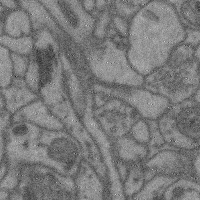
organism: Mouse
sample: Cerebral cortex